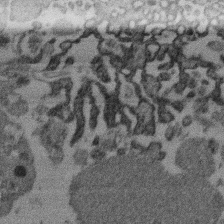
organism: Mouse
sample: Dividing mouse embryo 1 cell stage